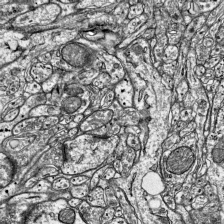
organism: Mouse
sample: Visual Cortex